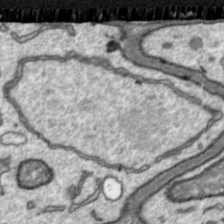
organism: Toxoplasma gondii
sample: Parasites in a vacuole inside a host cell